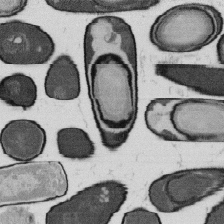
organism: B. subtilis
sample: Bacterial spore